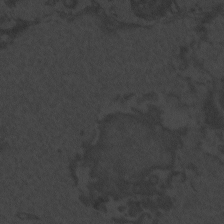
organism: Zebrafish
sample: Macrophage infected with Toxoplasma gondii